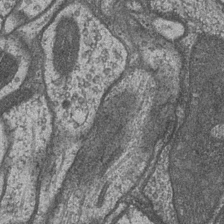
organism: Drosophila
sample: Optic medulla